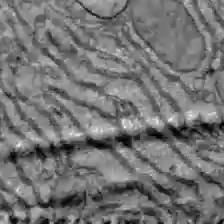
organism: C57BL Mouse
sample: Liver